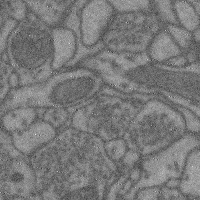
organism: Mouse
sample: Cerebral cortex